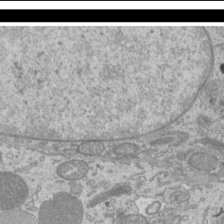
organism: Mouse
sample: Cilia; mouse epididymis